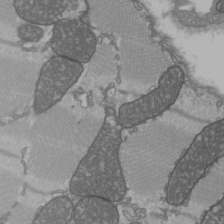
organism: C57BL Mouse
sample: Heart